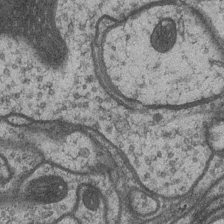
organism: Drosophila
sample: Optic medulla